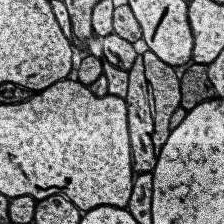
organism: Human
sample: Temporal Lobe